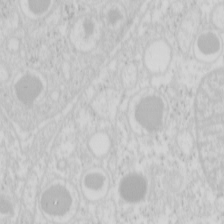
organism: Mouse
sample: Pancreas